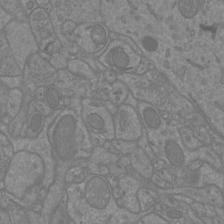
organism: Mouse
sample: Cortical neurons